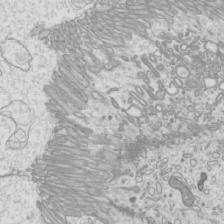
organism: Mouse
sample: Cilia; mouse epididymis